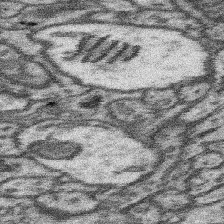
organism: Mouse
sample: Somatosensory cortex neuropil